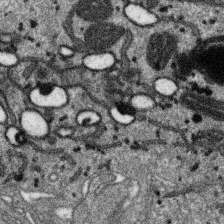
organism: Human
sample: Lung epithelial cells infected with SARS-CoV-2